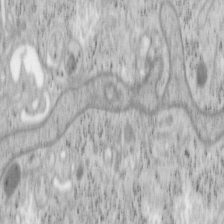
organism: Human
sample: HeLa cells